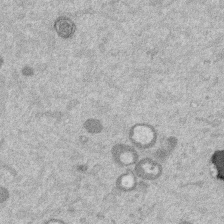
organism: Mouse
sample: Dividing mouse embryo 1 cell stage